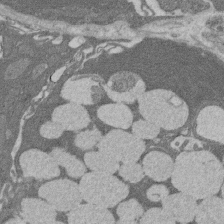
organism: Rat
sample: Salivary granule